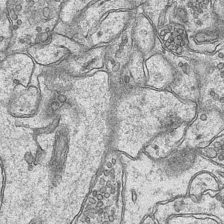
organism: Mouse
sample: CA1 Hippocampus